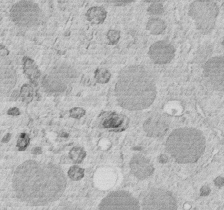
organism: C. elegans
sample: C. elegans embryo early stage